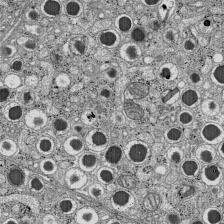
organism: C57BL Mouse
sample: Pancreatic islet